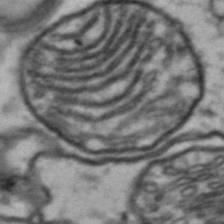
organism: Drosophila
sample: Brain